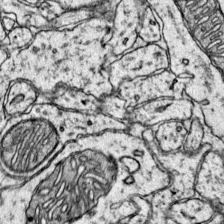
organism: Mouse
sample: Primary visual cortex